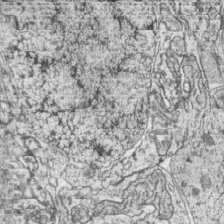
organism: Zebrafish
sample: synaptic ribbons in rod cells and cone cells